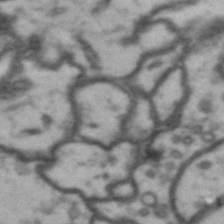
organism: Drosophila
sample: Brain